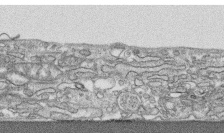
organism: Human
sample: CRL-1474